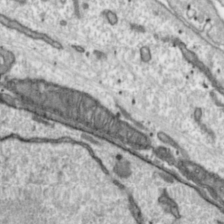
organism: Toxoplasma gondii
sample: Parasites in a vacuole inside a host cell